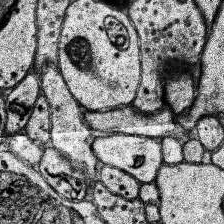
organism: Human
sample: Temporal Lobe